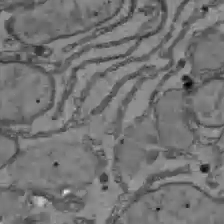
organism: C57BL Mouse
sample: Liver